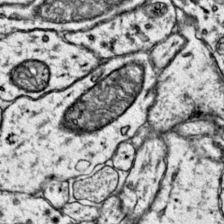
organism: Mouse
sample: Primary visual cortex